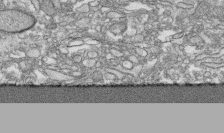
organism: Human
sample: CRL-1474